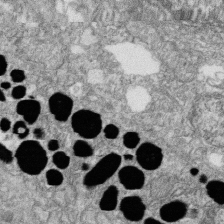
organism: Zebrafish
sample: Cilia; retinal pigment epithelium